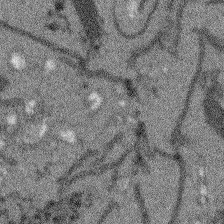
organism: Arabidopsis thaliana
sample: Root tip